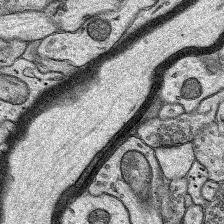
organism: Rat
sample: Hippocampus